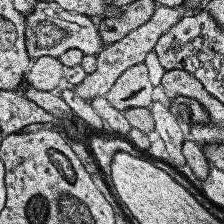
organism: Human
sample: Temporal Lobe